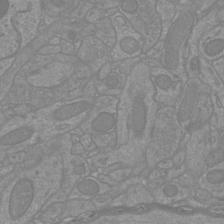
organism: Mouse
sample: Cortical neurons